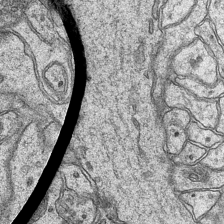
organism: Mouse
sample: CA1 Hippocampus